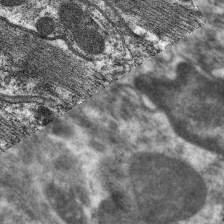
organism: C. elegans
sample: Pharynx